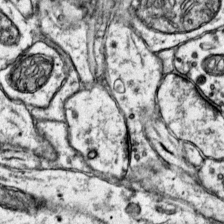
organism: Mouse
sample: Primary visual cortex